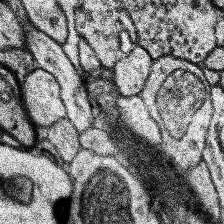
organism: Human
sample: Temporal Lobe